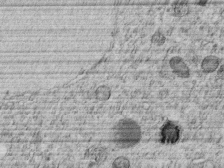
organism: C. elegans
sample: C. elegans embryo early stage